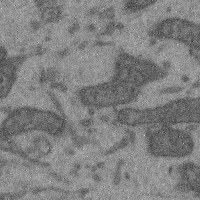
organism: Mouse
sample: Cerebral cortex